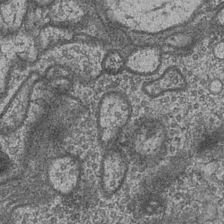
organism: Drosophila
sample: Optic medulla